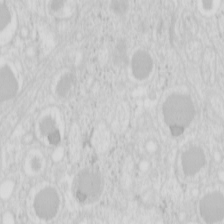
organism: Mouse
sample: Pancreas